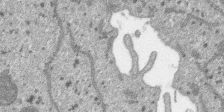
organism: Human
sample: Lung epithelial cells infected with SARS-CoV-2